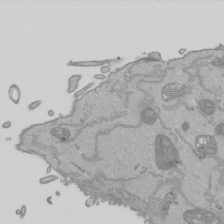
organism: Human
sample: Mitochondria in HCT116 cells